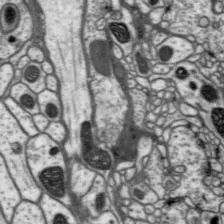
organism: Drosophila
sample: Protocerebral bridge